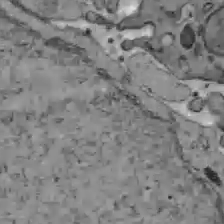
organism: C57BL Mouse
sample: Liver